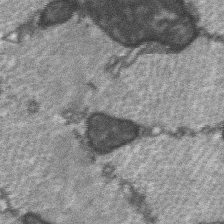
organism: C57BL Mouse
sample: Soleus